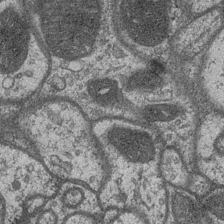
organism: Drosophila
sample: Optic medulla